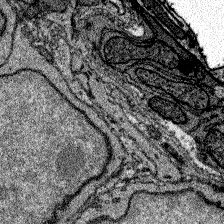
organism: Zebrafish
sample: Larval olfactory bulb